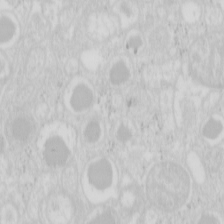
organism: Mouse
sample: Pancreas